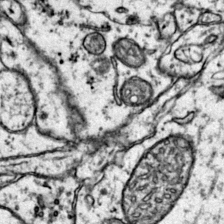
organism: Mouse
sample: Primary visual cortex